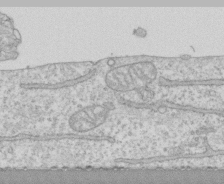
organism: Human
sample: CRL-1474